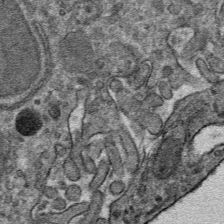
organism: Mouse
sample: Mouse hepatocytes